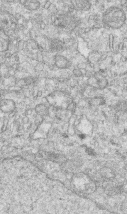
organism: Human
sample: HeLa cell HIV synapse